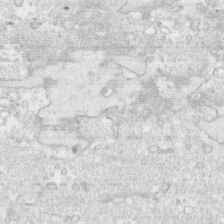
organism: Human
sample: CRL-1474